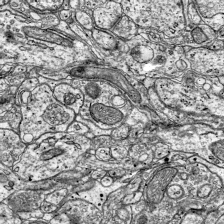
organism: Mouse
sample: Visual Cortex